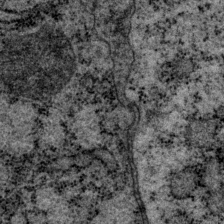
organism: P. pacificus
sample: Pharynx